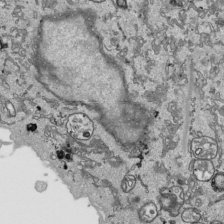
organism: Human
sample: Mitochondria in HCT116 cells